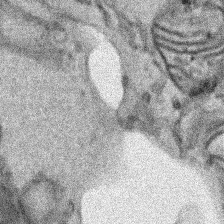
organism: Human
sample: Mitochondria in HCT116 cells